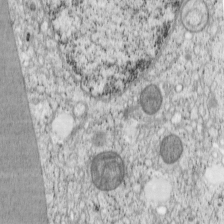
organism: African green monkey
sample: COS-7 cells